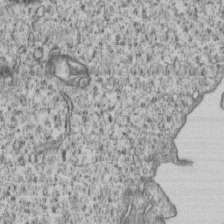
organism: Human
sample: MDA-MB-231 cells